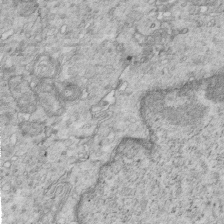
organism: Mouse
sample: Multiciliated cells